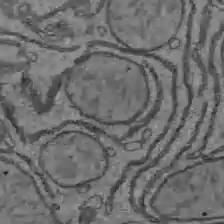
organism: C57BL Mouse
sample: Liver